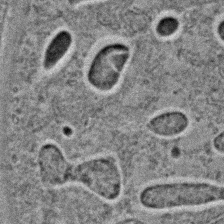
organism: C. elegans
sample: C. elegans embryo